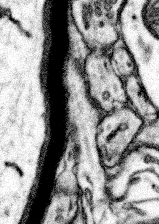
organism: Mouse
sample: Somatosensory cortex neuropil